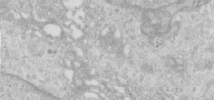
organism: Human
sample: Centriole in RPE cells